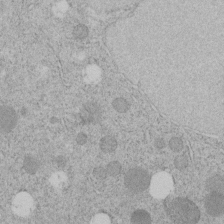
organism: C. elegans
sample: C. elegans embryo early stage